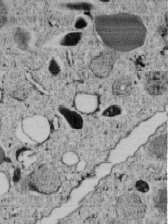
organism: C. elegans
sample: C. elegans embryo early stage